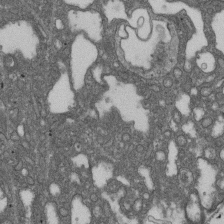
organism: Drosophila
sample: Nephrocyte